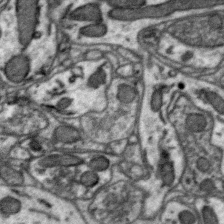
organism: Zebra finch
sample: Brain